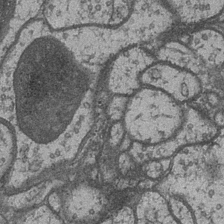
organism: Drosophila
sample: Optic medulla